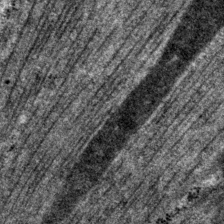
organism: P. pacificus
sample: Pharynx